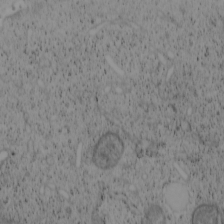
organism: African green monkey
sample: COS-7 cells